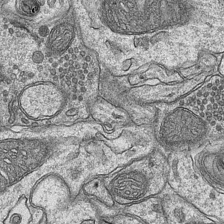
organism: Mouse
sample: CA1 Hippocampus